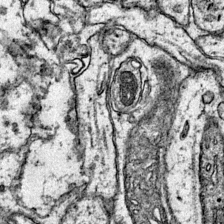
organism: Mouse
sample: Primary visual cortex